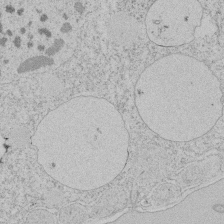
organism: Tetrahymena